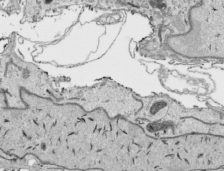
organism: Human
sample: Mitochondria in HCT116 cells